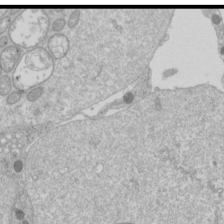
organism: Drosophila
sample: Cell division; meiosis; drosophila spermatocytes